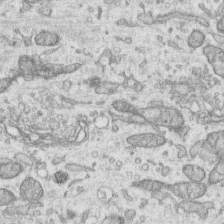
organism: Human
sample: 1205lu cells